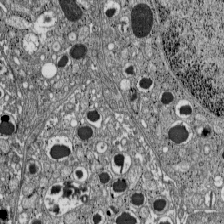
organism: C57BL Mouse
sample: Pancreatic islet